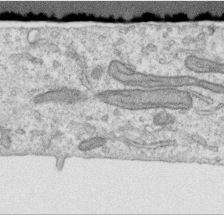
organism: Human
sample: Centriole in RPE cells